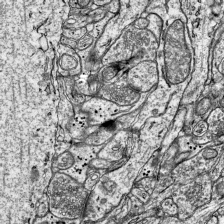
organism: Mouse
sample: Visual Cortex